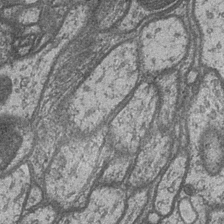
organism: Drosophila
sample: Optic medulla